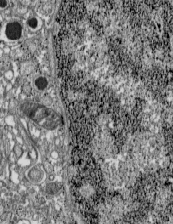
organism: C57BL Mouse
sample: Pancreatic islet